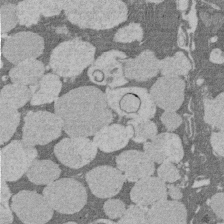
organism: Rat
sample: Salivary granule